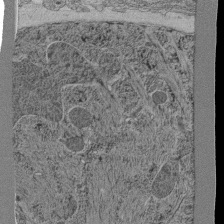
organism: C. elegans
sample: C. elegans pharynx